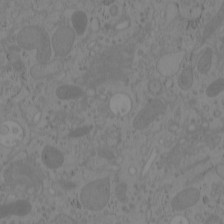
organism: Human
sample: HeLa cells